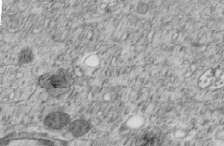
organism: C. elegans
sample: C. elegans embryo early stage